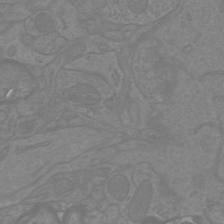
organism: Mouse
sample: Cortical neurons